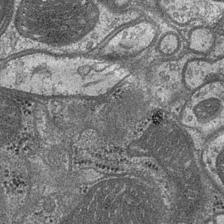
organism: Drosophila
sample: Optic medulla